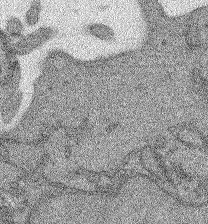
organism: Human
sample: HeLa cells